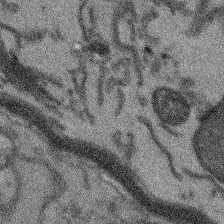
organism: Arabidopsis thaliana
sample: Root tip